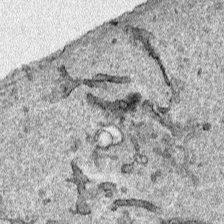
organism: Human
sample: Mitochondria in HCT116 cells